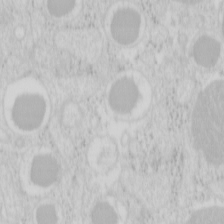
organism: Mouse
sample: Pancreas